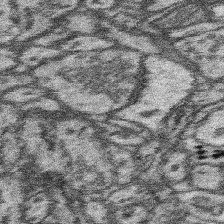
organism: Mouse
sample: Somatosensory cortex neuropil